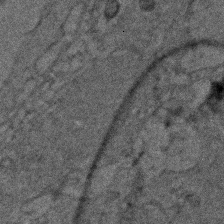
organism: Zebrafish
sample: Zebrafish embryo